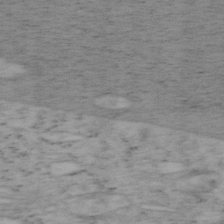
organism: Mouse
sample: OT-I killer T cells with ID8 ovarian cancer cells